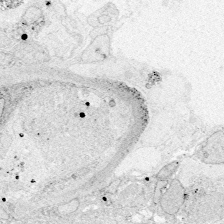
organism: Zebrafish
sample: Whole-Brain